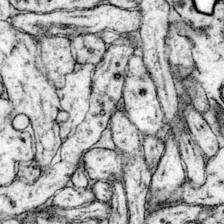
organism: Mouse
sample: Primary visual cortex